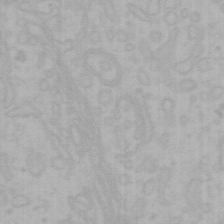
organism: Mouse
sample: Choroid plexus